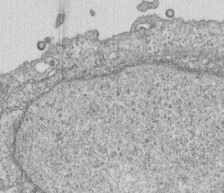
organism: Human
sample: HeLa cell HIV synapse